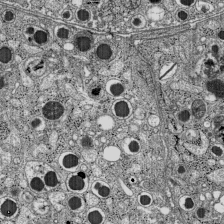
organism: C57BL Mouse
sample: Pancreatic islet